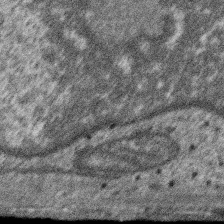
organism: Human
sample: Lung epithelial cells infected with SARS-CoV-2